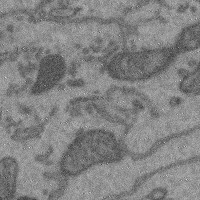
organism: Mouse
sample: Cerebral cortex